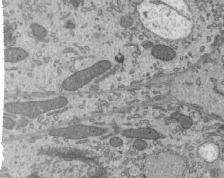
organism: Mouse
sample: Mouse epididymis efferent ductule cilia